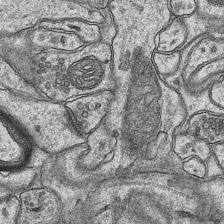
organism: Mouse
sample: CA1 Hippocampus